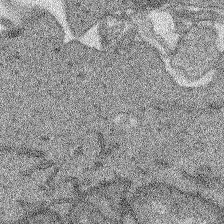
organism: Human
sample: HeLa cells